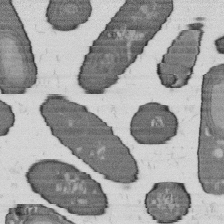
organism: B. subtilis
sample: Bacterial spore